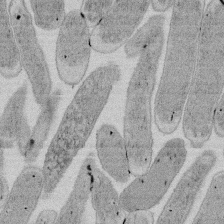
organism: E. coli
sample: Bacterial nucleoid